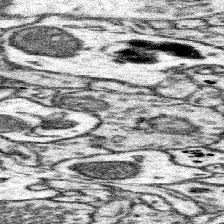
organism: Mouse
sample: Somatosensory cortex neuropil